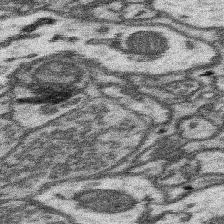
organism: Mouse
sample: Somatosensory cortex neuropil